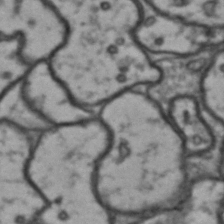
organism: Drosophila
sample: Brain